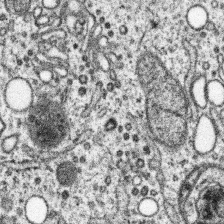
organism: Human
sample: HeLa cells